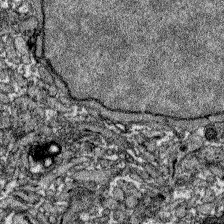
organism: Zebrafish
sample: Larval olfactory bulb